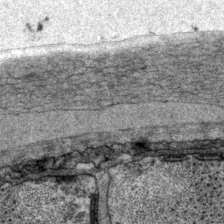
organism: P. pacificus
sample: Pharynx